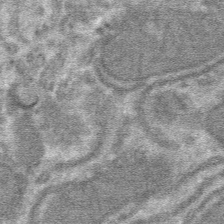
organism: Mouse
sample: Mouse hepatocytes